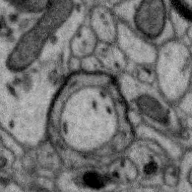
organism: Zebra finch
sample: Brain